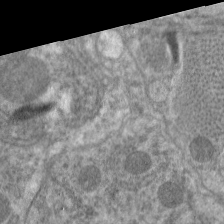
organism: C. elegans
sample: Pharynx